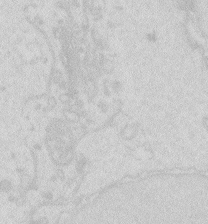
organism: Zebrafish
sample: Macrophage